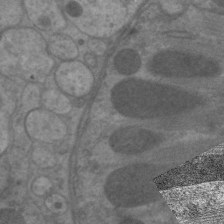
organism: C. elegans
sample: Pharynx